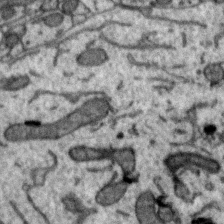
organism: Zebra finch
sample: Brain